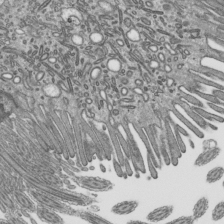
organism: Mouse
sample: Mouse epididymis efferent ductule cilia